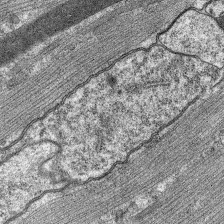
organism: C. elegans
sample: Pharynx